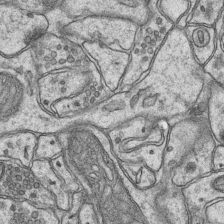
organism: Mouse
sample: CA1 Hippocampus